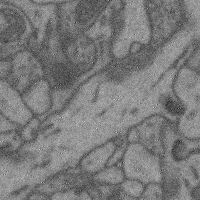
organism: Mouse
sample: Cerebral cortex